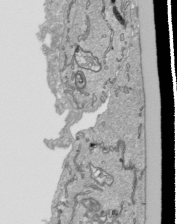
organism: Human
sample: Mitochondria in HCT116 cells